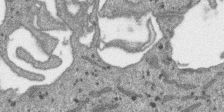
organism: Human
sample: Lung epithelial cells infected with SARS-CoV-2